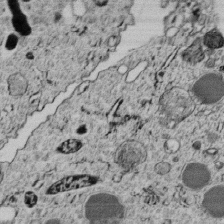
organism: C. elegans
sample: C. elegans embryo early stage